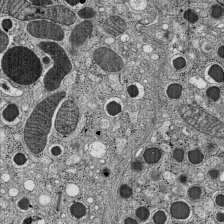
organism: C57BL Mouse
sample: Pancreatic islet